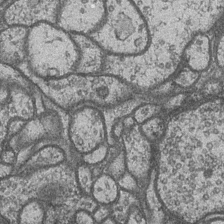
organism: Drosophila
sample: Optic medulla